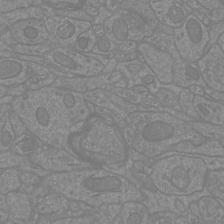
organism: Mouse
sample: Cortical neurons